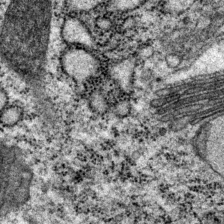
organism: P. pacificus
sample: Pharynx